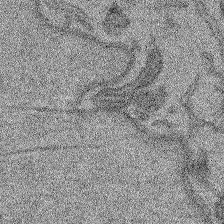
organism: Human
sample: HeLa cells